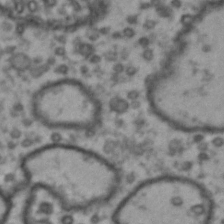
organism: Drosophila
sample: Brain